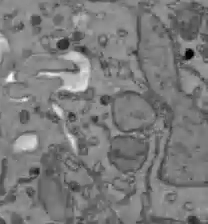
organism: C57BL Mouse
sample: Liver